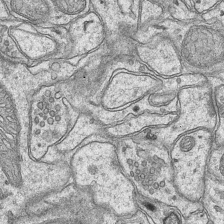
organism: Mouse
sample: CA1 Hippocampus